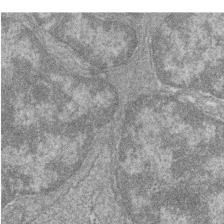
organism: Zebrafish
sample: Cilia; retinal pigment epithelium